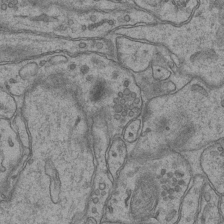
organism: Mouse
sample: CA1 Hippocampus